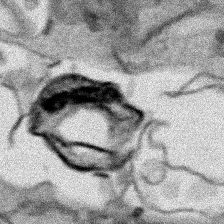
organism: Human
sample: Mitochondria in HCT116 cells